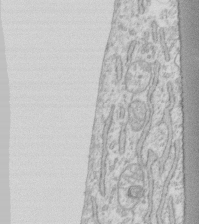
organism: Human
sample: Fibroblast cells